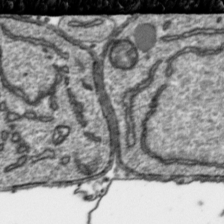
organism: Toxoplasma gondii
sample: Parasites in a vacuole inside a host cell